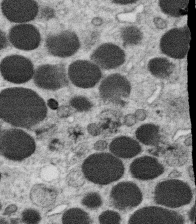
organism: C. elegans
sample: C. elegans oocyte; sperm cells